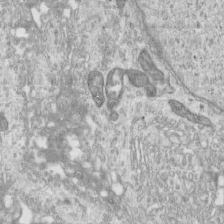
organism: Human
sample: Centriole in RPE cells